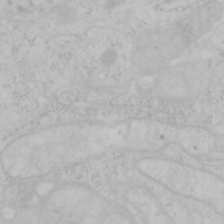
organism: Mouse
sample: OT-I killer T cells with ID8 ovarian cancer cells